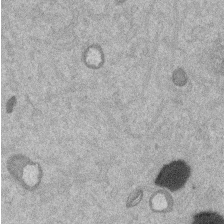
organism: Mouse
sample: Dividing mouse embryo 1 cell stage